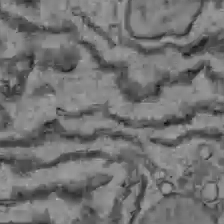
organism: C57BL Mouse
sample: Liver